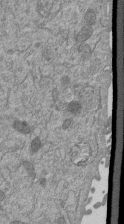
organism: Mouse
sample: ED-1 cell nuclei; centrioles